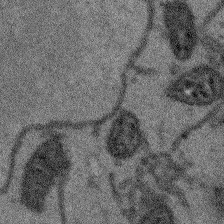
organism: Arabidopsis thaliana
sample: Root tip